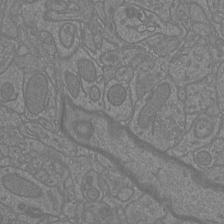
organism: Mouse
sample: Cortical neurons